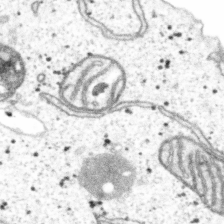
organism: Human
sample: HeLa cells